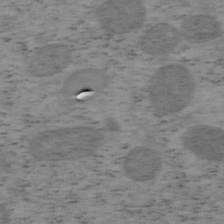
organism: Mouse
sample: OT-I killer T cells with ID8 ovarian cancer cells